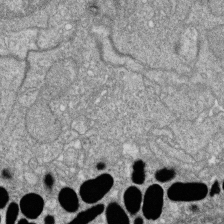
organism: Zebrafish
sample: Cilia; retinal pigment epithelium